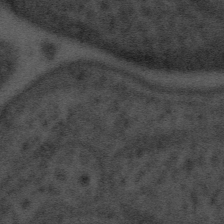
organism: Tuwongella immobilis